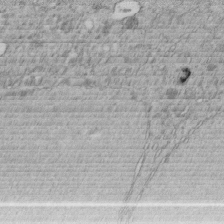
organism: C. elegans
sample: C. elegans embryo early stage